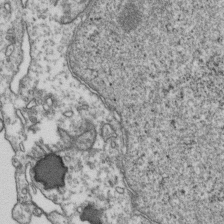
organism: Human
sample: Activated Jurkat CD4+ T cells